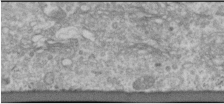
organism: Human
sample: Cilia; basal body in RPE cells